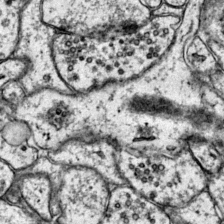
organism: Mouse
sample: Primary visual cortex